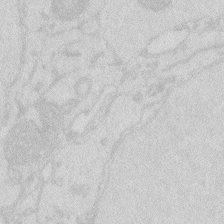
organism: Zebrafish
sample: Macrophage